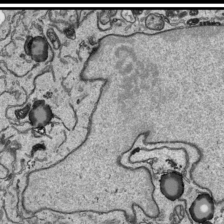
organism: Human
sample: Mitochondria in HCT116 cells